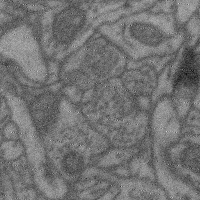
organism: Mouse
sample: Cerebral cortex